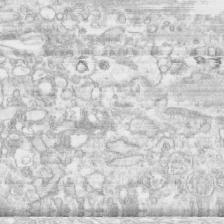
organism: Human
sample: CRL-1474